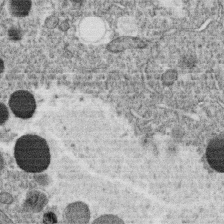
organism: C. elegans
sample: C. elegans oocyte; sperm cells